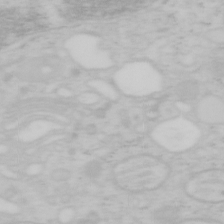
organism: Mouse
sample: OT-I killer T cells with ID8 ovarian cancer cells